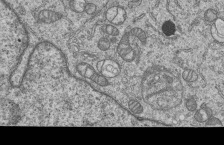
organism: Human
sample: MDA-MB-231 cells